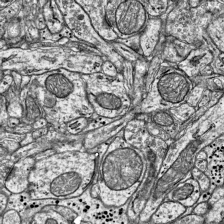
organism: Mouse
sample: Visual Cortex